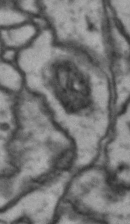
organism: Drosophila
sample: Brain